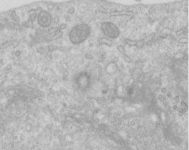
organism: Human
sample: Centriole in RPE cells